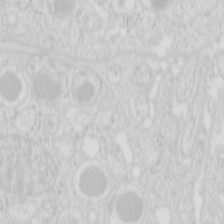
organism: Mouse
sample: Pancreas